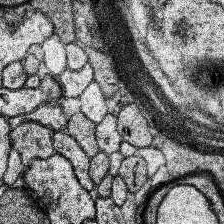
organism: Human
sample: Temporal Lobe